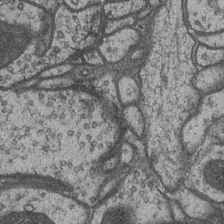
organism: Drosophila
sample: Optic medulla